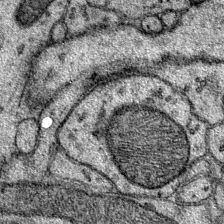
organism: Mouse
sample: Primary visual cortex